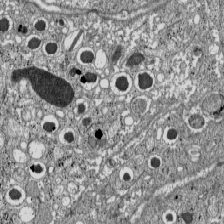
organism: C57BL Mouse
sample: Pancreatic islet